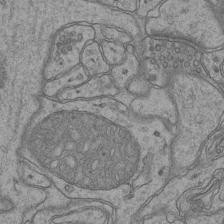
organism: Mouse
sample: CA1 Hippocampus